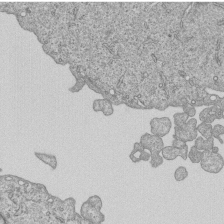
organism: Human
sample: MDA-MB-231 cells